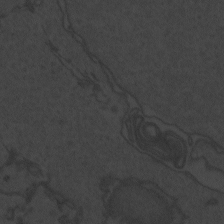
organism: Zebrafish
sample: Macrophage infected with Toxoplasma gondii